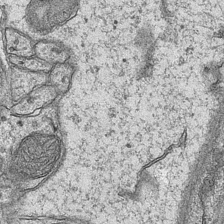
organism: Mouse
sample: CA1 Hippocampus